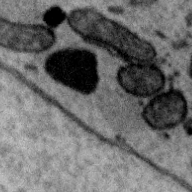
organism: Zebra finch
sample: Brain